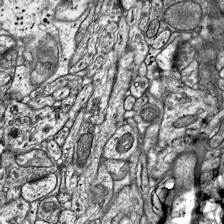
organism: Mouse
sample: Visual Cortex